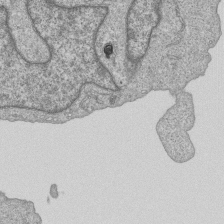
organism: Human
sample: MDA-MB-231 cells